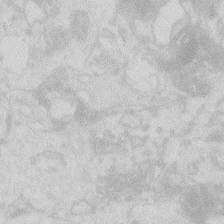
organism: Zebrafish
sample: Macrophage